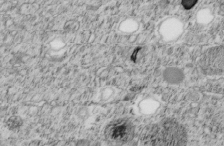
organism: C. elegans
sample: C. elegans embryo early stage